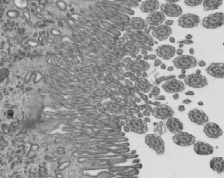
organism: Mouse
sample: Mouse epididymis efferent ductule cilia